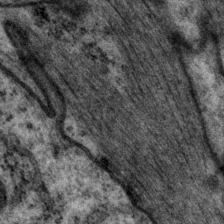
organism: P. pacificus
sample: Pharynx